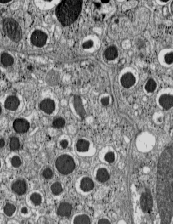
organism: C57BL Mouse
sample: Pancreatic islet